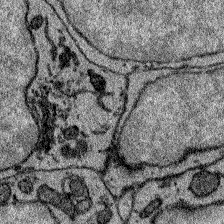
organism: Zebrafish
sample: Larval olfactory bulb